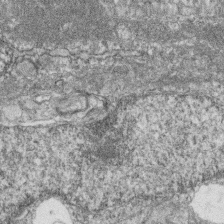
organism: Zebrafish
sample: Cilia; retinal pigment epithelium